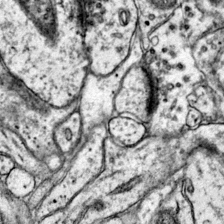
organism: Mouse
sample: Primary visual cortex